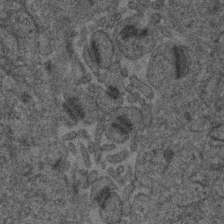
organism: Human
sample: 1205lu cells